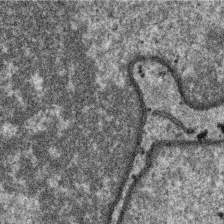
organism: Human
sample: Lung epithelial cells infected with SARS-CoV-2